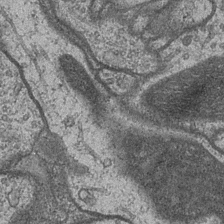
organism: Drosophila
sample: Optic medulla